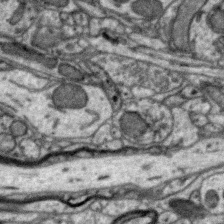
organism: Zebra finch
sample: Brain